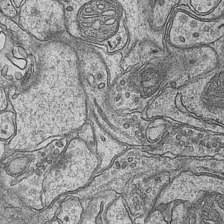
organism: Mouse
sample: CA1 Hippocampus